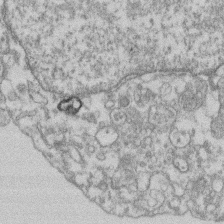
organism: Mouse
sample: T cell stromal cell synapse